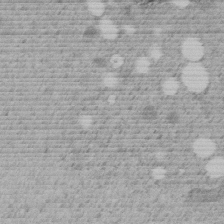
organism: C. elegans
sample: C. elegans embryo early stage